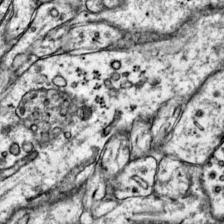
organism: Mouse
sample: Primary visual cortex